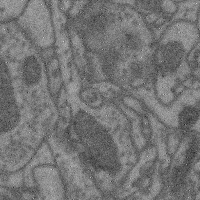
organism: Mouse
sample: Cerebral cortex